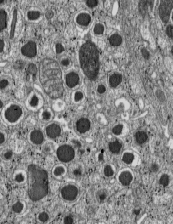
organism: C57BL Mouse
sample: Pancreatic islet